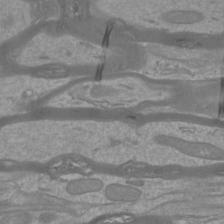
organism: Mouse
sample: Cortical neurons